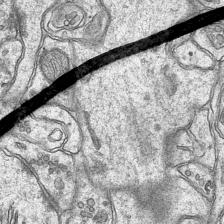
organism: Mouse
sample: CA1 Hippocampus